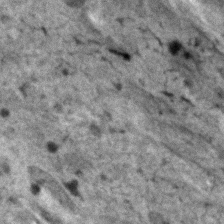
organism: Human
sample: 1205lu cells